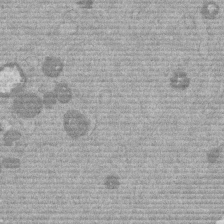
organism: Mouse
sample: Dividing mouse embryo 1 cell stage